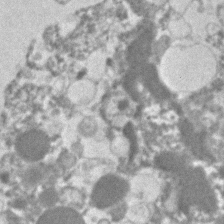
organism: Human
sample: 1205lu cells